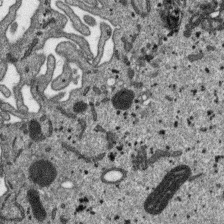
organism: Human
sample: Lung epithelial cells infected with SARS-CoV-2